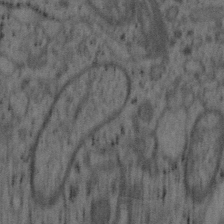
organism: Human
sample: HeLa cells